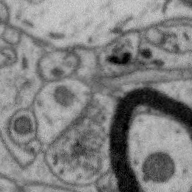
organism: Zebra finch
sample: Brain